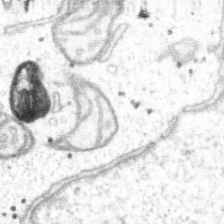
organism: Human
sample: HeLa cells